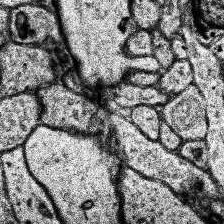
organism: Human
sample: Temporal Lobe